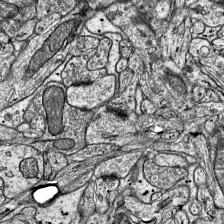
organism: Mouse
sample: Visual Cortex